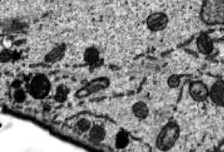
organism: Human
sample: HeLa cells